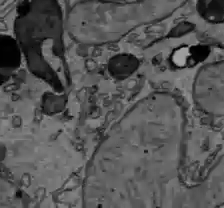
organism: C57BL Mouse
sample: Liver